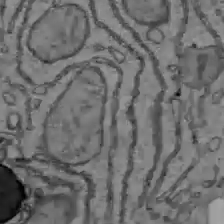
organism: C57BL Mouse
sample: Liver